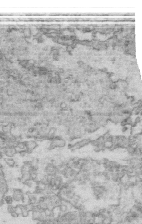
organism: Mouse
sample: Multiciliated cells